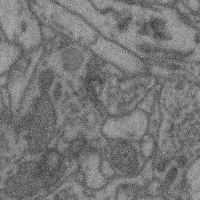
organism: Mouse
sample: Cerebral cortex